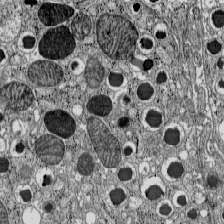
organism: C57BL Mouse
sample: Pancreatic islet